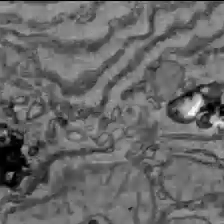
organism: C57BL Mouse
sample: Liver